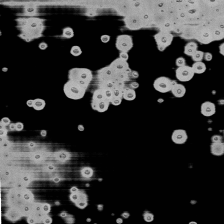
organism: Mouse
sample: Activated Pmel transgenic CD8+ T Cells